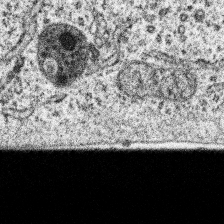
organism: Human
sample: HeLa cells